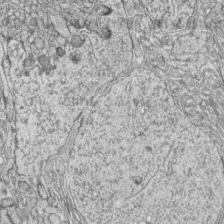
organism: Zebrafish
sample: synaptic ribbons in rod cells and cone cells